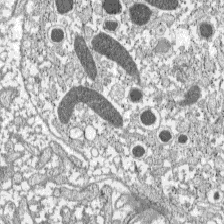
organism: C57BL Mouse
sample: Pancreatic islet